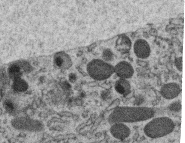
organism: C. elegans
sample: C. elegans oocyte; sperm cells